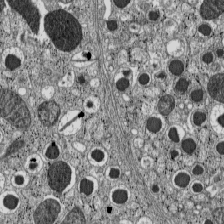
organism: C57BL Mouse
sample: Pancreatic islet